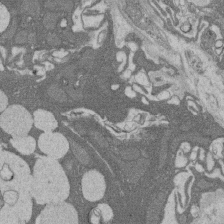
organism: Rat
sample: Salivary granule